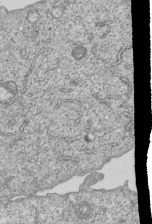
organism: Human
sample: MDA-MB-231 cells